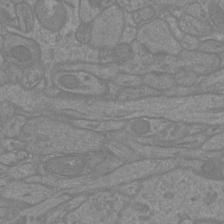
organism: Mouse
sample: Cortical neurons